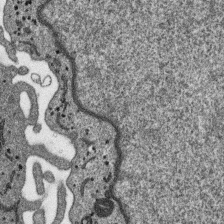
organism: Human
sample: Lung epithelial cells infected with SARS-CoV-2